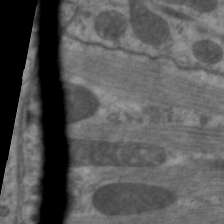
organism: C. elegans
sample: Pharynx